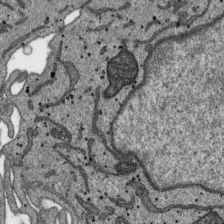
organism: Human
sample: Lung epithelial cells, uninfected (mock) control